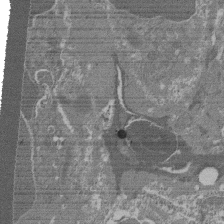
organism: Mouse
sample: Glomerulus